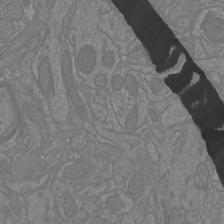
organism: Mouse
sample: Cortical neurons